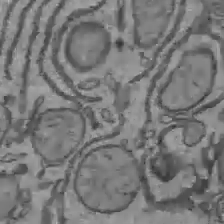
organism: C57BL Mouse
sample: Liver